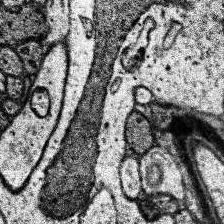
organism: Human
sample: Temporal Lobe